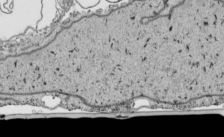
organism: Human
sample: Mitochondria in HCT116 cells